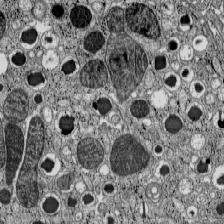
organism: C57BL Mouse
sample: Pancreatic islet